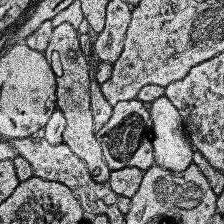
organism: Human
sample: Temporal Lobe